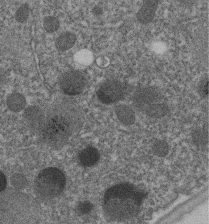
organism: C. elegans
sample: C. elegans embryo early stage